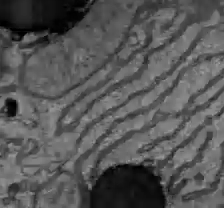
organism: C57BL Mouse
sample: Liver